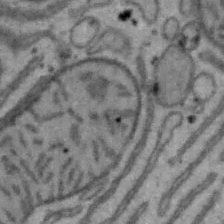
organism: Mouse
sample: Liver